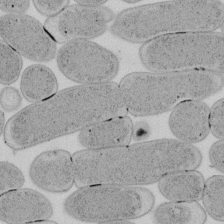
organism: E. coli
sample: Bacterial nucleoid